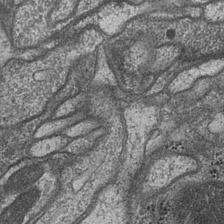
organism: Drosophila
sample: Optic medulla